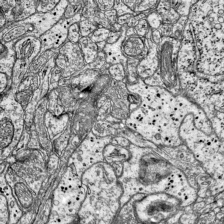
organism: Mouse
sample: Visual Cortex